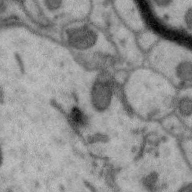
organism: Zebra finch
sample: Brain